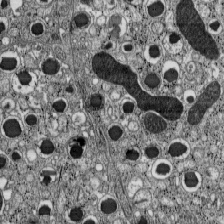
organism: C57BL Mouse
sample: Pancreatic islet